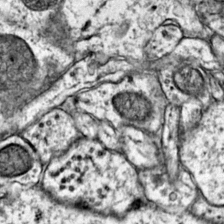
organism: Mouse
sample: Primary visual cortex